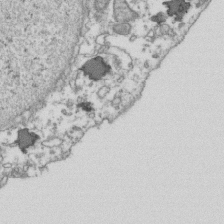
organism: Human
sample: Activated Jurkat CD4+ T cells